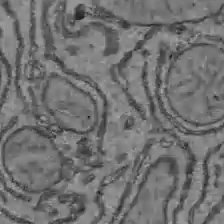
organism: C57BL Mouse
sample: Liver